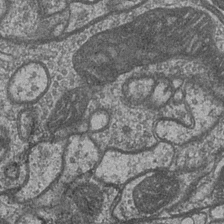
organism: Drosophila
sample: Optic medulla